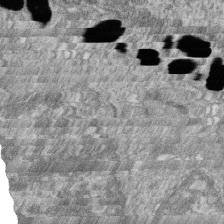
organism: Zebrafish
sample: Cilia; retinal pigment epithelium